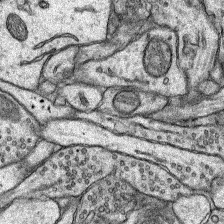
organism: Rat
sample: Hippocampus